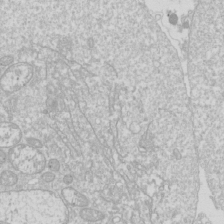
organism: Drosophila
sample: Cell division; meiosis; drosophila spermatocytes